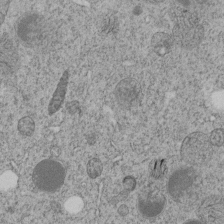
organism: C. elegans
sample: C. elegans embryo early stage